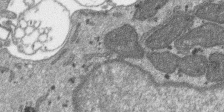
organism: Human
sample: Lung epithelial cells infected with SARS-CoV-2